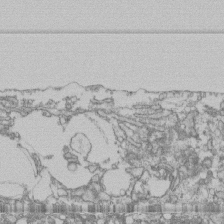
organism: Human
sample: Fibroblast cells